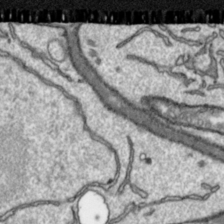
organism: Toxoplasma gondii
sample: Parasites in a vacuole inside a host cell